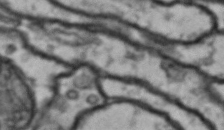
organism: Drosophila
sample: Brain